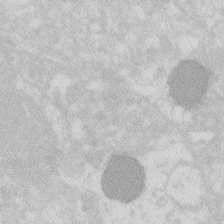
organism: Zebrafish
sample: Macrophage